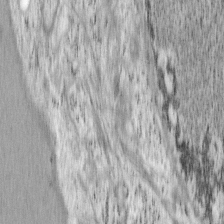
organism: Human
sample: HeLa cells